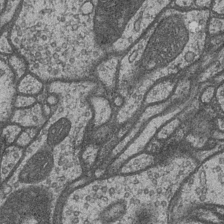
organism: Drosophila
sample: Optic medulla